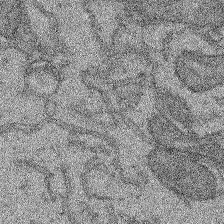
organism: Human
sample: HeLa cells